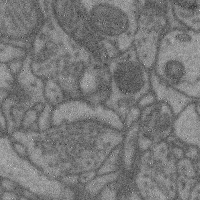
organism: Mouse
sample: Cerebral cortex